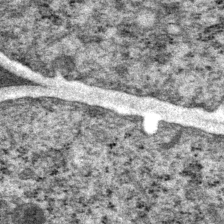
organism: P. pacificus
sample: Pharynx